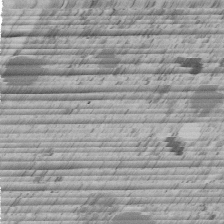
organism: C. elegans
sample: C. elegans embryo early stage